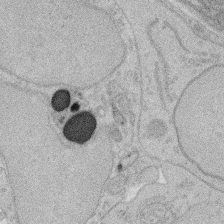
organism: Rat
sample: Salivary granule